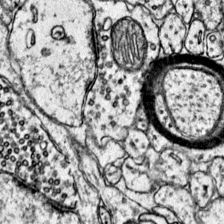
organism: Mouse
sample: Primary visual cortex